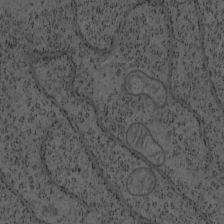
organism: Mouse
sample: OT-I killer T cells with ID8 ovarian cancer cells